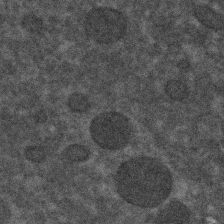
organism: C. elegans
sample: C. elegans embryo